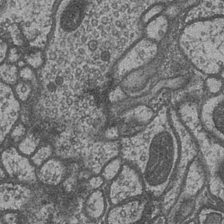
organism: Drosophila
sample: Optic medulla